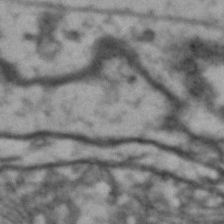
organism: Drosophila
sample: Brain